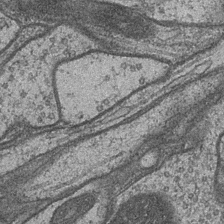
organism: Drosophila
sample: Optic medulla